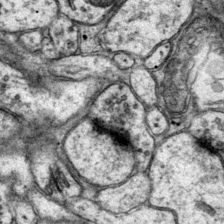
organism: Mouse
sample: Primary visual cortex